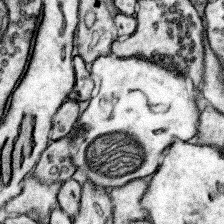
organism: Mouse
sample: Somatosensory cortex neuropil